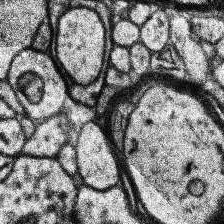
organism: Human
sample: Temporal Lobe